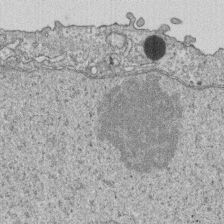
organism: Human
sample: HeLa cell HIV synapse